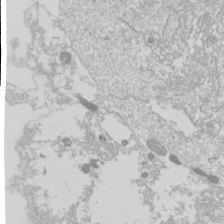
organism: Drosophila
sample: Cell division; meiosis; drosophila spermatocytes